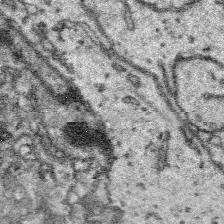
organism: Platynereis dumerilii